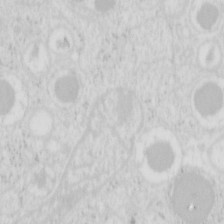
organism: Mouse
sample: Pancreas